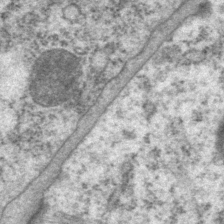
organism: P. pacificus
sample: Pharynx